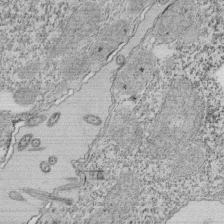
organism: Tetrahymena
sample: Cilia in tetrahymena